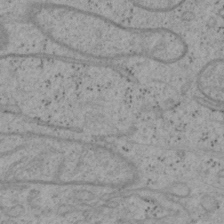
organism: Human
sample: HeLa cells